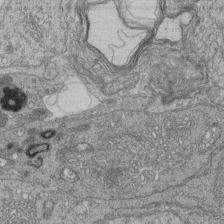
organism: Human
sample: Retinal organoid Rod and Cone cells